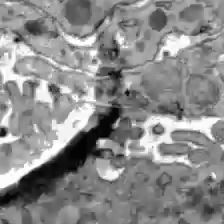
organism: C57BL Mouse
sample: Liver